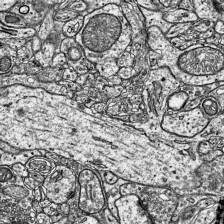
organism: Mouse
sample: Visual Cortex